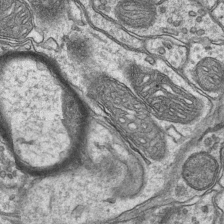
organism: Mouse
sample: CA1 Hippocampus